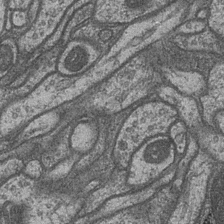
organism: Drosophila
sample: Optic medulla